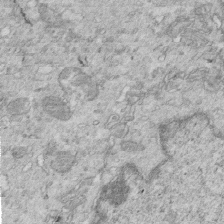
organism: Mouse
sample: Multiciliated cells